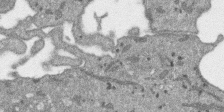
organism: Human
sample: Lung epithelial cells infected with SARS-CoV-2